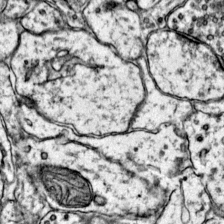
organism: Mouse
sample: Primary visual cortex